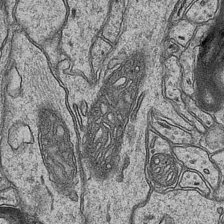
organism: Mouse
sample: CA1 Hippocampus